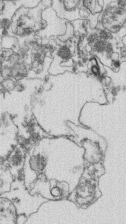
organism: Human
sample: HeLa cell HIV synapse